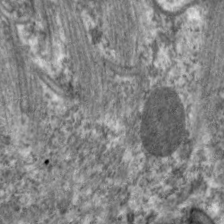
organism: C. elegans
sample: Pharynx